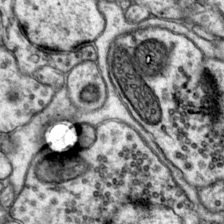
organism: Mouse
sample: Primary visual cortex